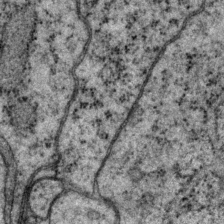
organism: P. pacificus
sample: Pharynx